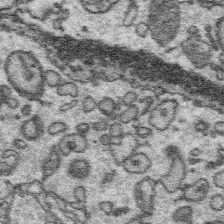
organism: Platynereis dumerilii